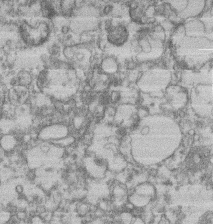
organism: Mouse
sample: T cell stromal cell synapse